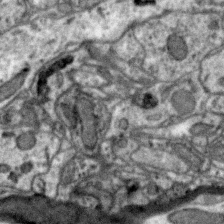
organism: Zebra finch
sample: Brain